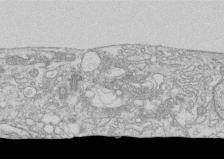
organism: Human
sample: CRL-1474